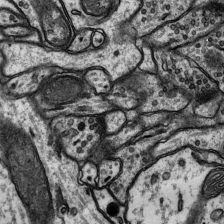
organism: Rat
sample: Hippocampus